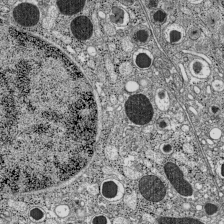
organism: C57BL Mouse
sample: Pancreatic islet